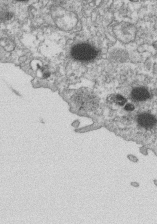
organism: Human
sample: HeLa cell HIV synapse